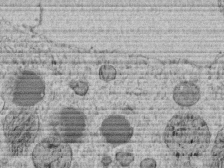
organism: C. elegans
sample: C. elegans embryo early stage